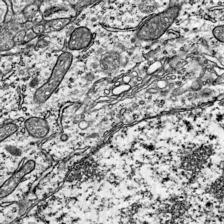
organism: Mouse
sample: Visual Cortex